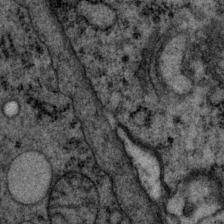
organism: P. pacificus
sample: Pharynx